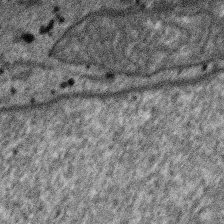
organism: Human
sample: Lung epithelial cells infected with SARS-CoV-2